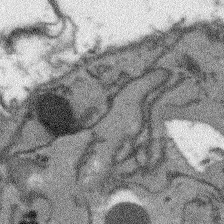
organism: Arabidopsis thaliana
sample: Root tip